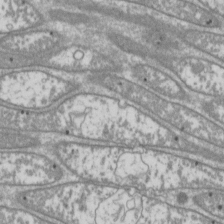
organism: Drosophila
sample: Cell division; meiosis; drosophila spermatocytes